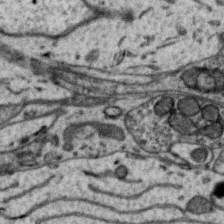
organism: Zebra finch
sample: Brain